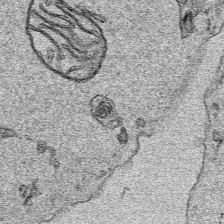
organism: Human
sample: Mitochondria in HCT116 cells